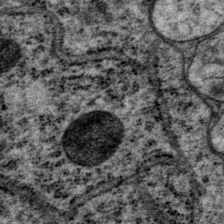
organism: P. pacificus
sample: Pharynx